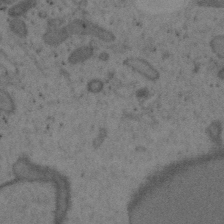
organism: Human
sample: HeLa cells